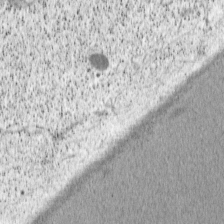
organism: African green monkey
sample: COS-7 cells